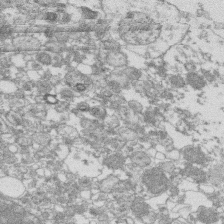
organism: Human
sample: HeLa cell HIV synapse